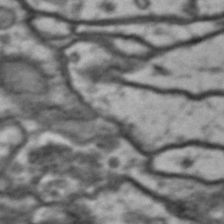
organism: Drosophila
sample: Brain